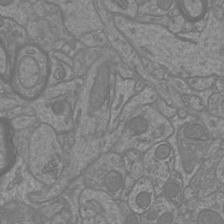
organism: Mouse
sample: Cortical neurons